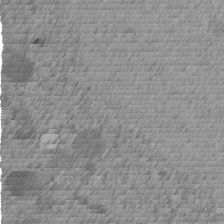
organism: C. elegans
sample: C. elegans embryo early stage